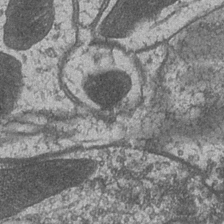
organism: Drosophila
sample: Optic medulla